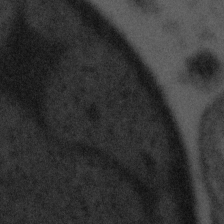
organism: Tuwongella immobilis